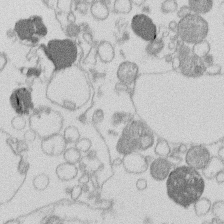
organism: Human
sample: Macrophage cells